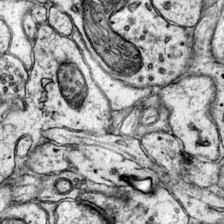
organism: Mouse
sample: Primary visual cortex